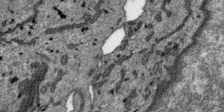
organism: Human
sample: Lung epithelial cells, uninfected (mock) control